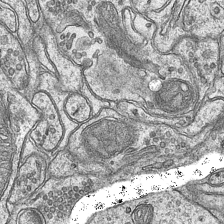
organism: Mouse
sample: CA1 Hippocampus